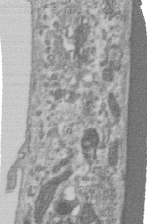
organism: Human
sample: Centriole in RPE cells